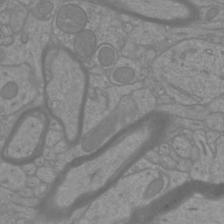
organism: Mouse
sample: Cortical neurons